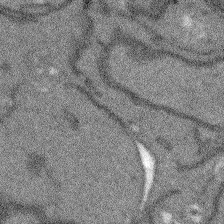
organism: Arabidopsis thaliana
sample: Root tip